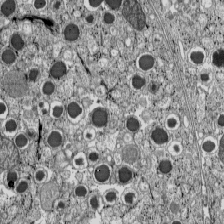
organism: C57BL Mouse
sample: Pancreatic islet